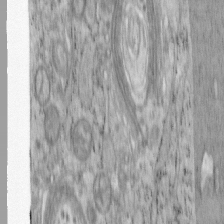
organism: Human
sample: HeLa cells